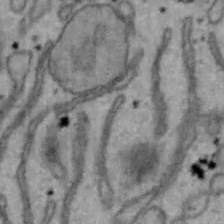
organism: Mouse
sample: Liver